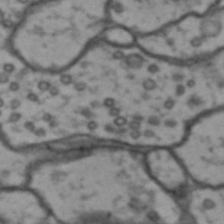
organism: Drosophila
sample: Brain